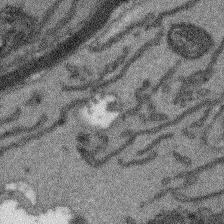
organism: Arabidopsis thaliana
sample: Root tip